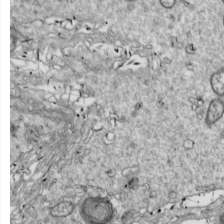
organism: Drosophila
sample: Cell division; meiosis; drosophila spermatocytes